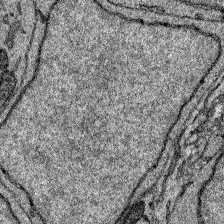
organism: Zebrafish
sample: Larval olfactory bulb